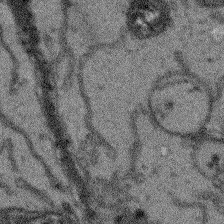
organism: Arabidopsis thaliana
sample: Root tip